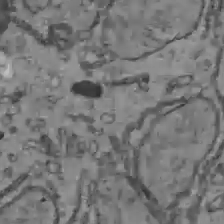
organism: C57BL Mouse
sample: Liver